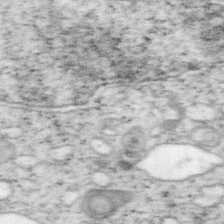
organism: Mouse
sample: OT-I killer T cells with ID8 ovarian cancer cells